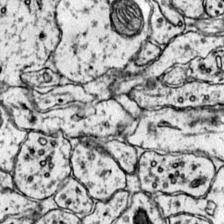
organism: Mouse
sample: Primary visual cortex